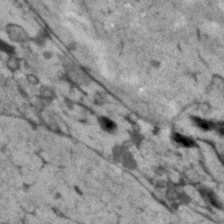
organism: Human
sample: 1205lu cells